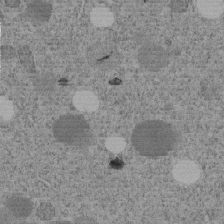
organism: C. elegans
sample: C. elegans embryo early stage